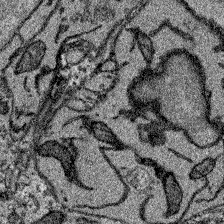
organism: Zebrafish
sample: Larval olfactory bulb